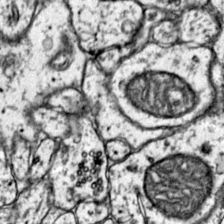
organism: Mouse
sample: Primary visual cortex